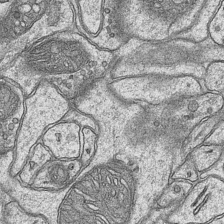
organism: Mouse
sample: CA1 Hippocampus